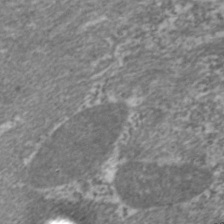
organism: C. elegans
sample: Pharynx